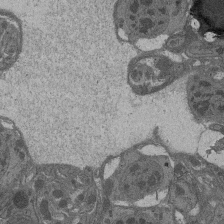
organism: Drosophila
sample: Antenna